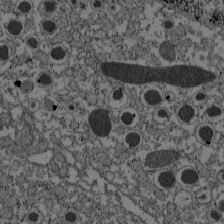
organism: C57BL Mouse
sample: Pancreatic islet